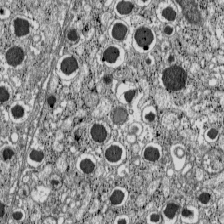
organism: C57BL Mouse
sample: Pancreatic islet